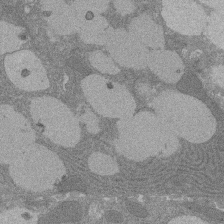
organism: Rat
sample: Salivary granule